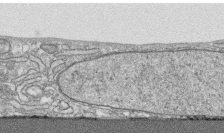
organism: Human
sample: CRL-1474